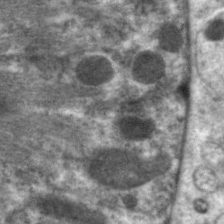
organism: C. elegans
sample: Pharynx